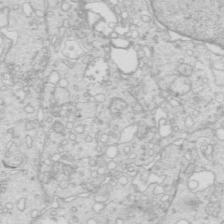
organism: Mouse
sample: Multiciliated cells